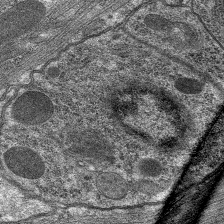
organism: C. elegans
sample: Pharynx